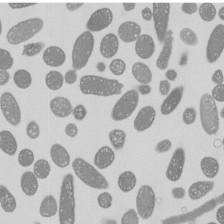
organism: E. coli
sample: Bacterial nucleoid